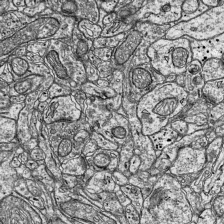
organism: Mouse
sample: Visual Cortex